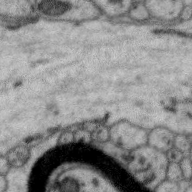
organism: Zebra finch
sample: Brain